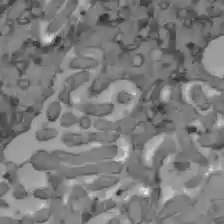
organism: C57BL Mouse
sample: Liver